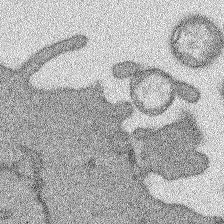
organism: Human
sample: HeLa cells